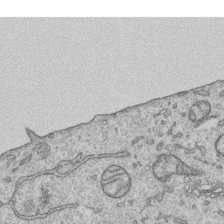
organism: Human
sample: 1205lu cells